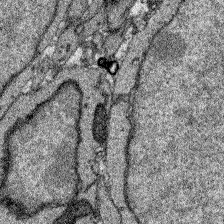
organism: Zebrafish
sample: Larval olfactory bulb